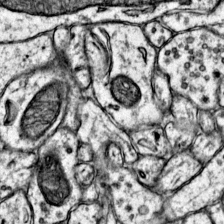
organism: Mouse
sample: Primary visual cortex